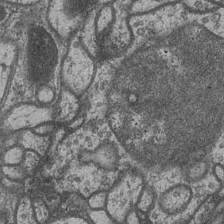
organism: Drosophila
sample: Optic medulla